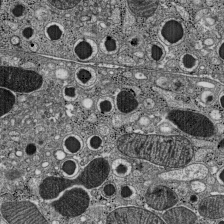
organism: C57BL Mouse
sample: Pancreatic islet